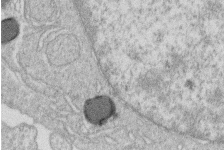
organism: Human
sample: Macrophage cells